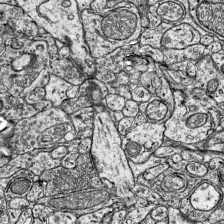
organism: Mouse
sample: Visual Cortex